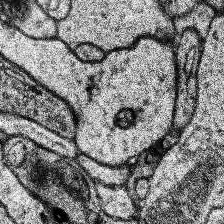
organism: Human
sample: Temporal Lobe